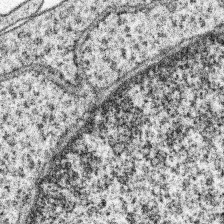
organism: Human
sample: HeLa cells